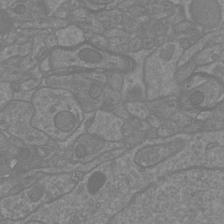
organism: Mouse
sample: Cortical neurons